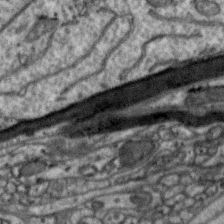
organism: Zebra finch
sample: Brain